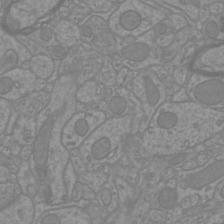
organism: Mouse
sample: Cortical neurons